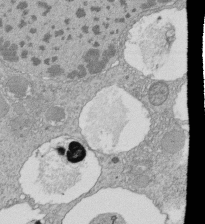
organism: Tetrahymena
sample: Cilia in tetrahymena